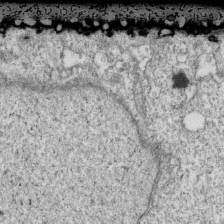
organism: Human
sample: HeLa cell HIV synapse